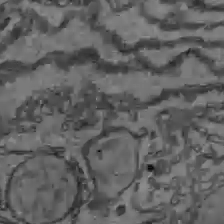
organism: C57BL Mouse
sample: Liver